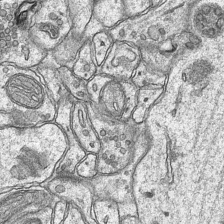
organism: Mouse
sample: CA1 Hippocampus